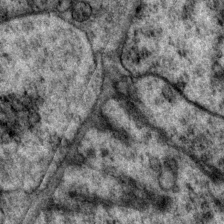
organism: P. pacificus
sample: Pharynx